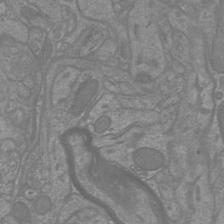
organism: Mouse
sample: Cortical neurons